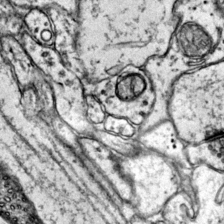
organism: Mouse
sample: Primary visual cortex